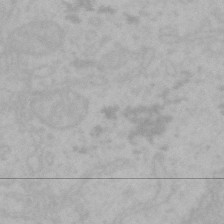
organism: Mouse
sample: Choroid plexus